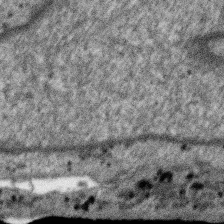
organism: Human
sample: Lung epithelial cells infected with SARS-CoV-2